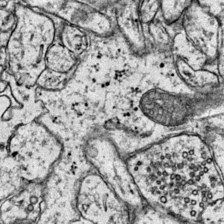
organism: Mouse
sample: Primary visual cortex